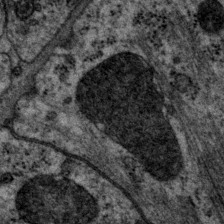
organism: P. pacificus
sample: Pharynx